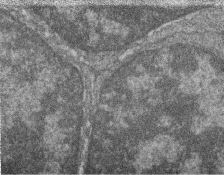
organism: Zebrafish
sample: Cilia; retinal pigment epithelium